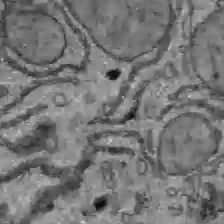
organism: C57BL Mouse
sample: Liver